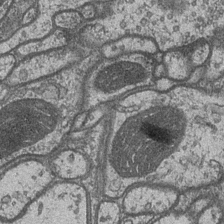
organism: Drosophila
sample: Optic medulla